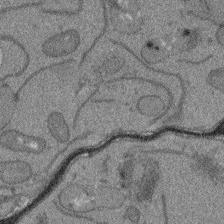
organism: Arabidopsis thaliana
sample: Root tip